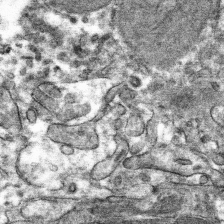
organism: Mouse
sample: Mouse hepatocytes